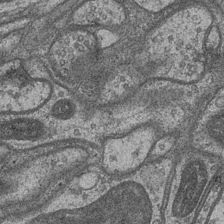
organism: Drosophila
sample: Optic medulla